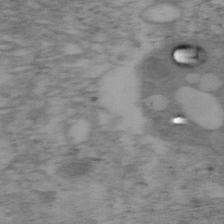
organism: Mouse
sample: OT-I killer T cells with ID8 ovarian cancer cells